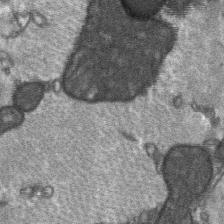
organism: C57BL Mouse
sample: Soleus